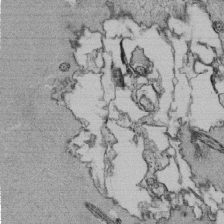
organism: Tetrahymena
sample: Cilia in tetrahymena